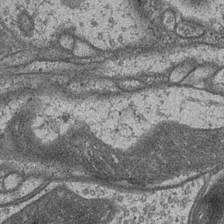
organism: Drosophila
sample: Optic medulla